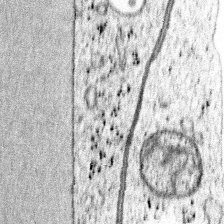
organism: Human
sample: HeLa cells